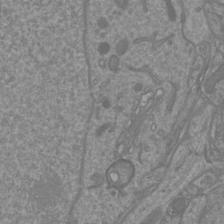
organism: Mouse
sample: Cortical neurons